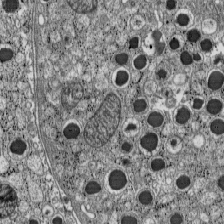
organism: C57BL Mouse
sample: Pancreatic islet